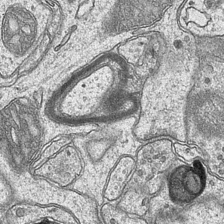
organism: Mouse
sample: CA1 Hippocampus